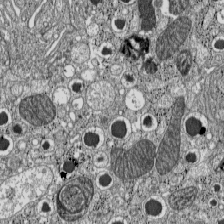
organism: C57BL Mouse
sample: Pancreatic islet